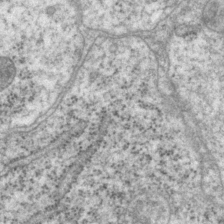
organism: P. pacificus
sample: Pharynx